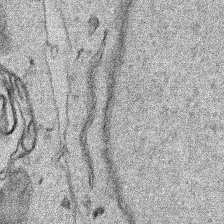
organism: Human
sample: Mitochondria in HCT116 cells